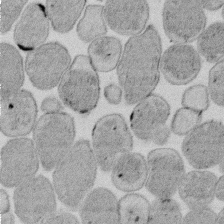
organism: E. coli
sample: Bacterial nucleoid